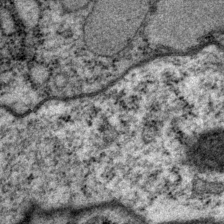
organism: P. pacificus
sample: Pharynx